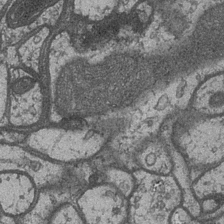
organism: Drosophila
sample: Optic medulla